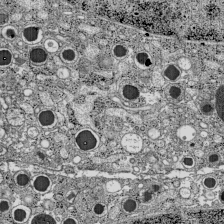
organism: C57BL Mouse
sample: Pancreatic islet